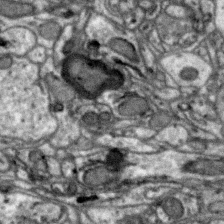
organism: Zebra finch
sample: Brain